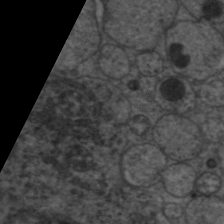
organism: C. elegans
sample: Pharynx